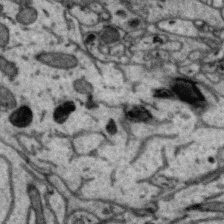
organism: Zebra finch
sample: Brain